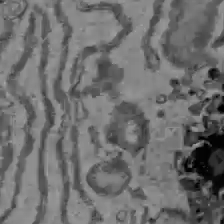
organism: C57BL Mouse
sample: Liver